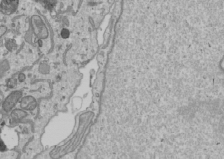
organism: Human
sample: Mitochondria in U2OS cells